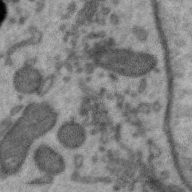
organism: Zebra finch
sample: Brain